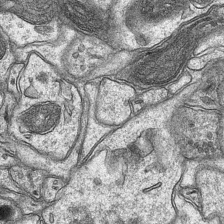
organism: Mouse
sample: CA1 Hippocampus